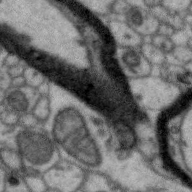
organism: Zebra finch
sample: Brain